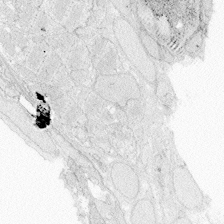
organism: Zebrafish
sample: Whole-Brain